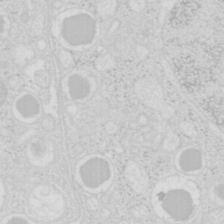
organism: Mouse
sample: Pancreas